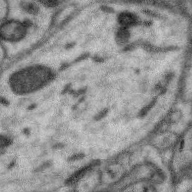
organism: Zebra finch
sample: Brain